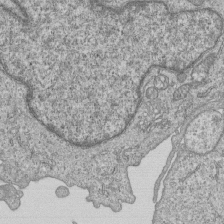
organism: Human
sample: MDA-MB-231 cells